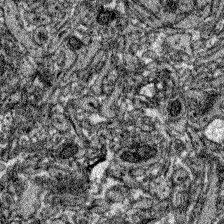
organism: Zebrafish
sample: Larval olfactory bulb